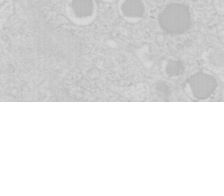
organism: Mouse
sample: Pancreas